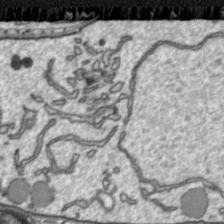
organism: Toxoplasma gondii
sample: Parasites in a vacuole inside a host cell